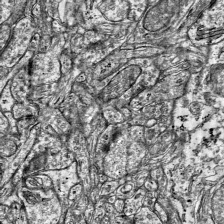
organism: Mouse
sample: Visual Cortex